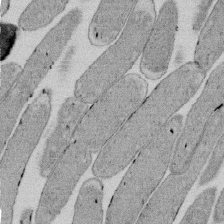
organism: E. coli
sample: Bacterial nucleoid